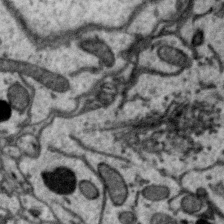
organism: Zebra finch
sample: Brain